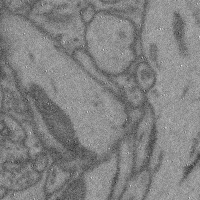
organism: Mouse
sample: Cerebral cortex